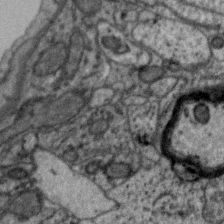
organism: Zebra finch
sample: Brain